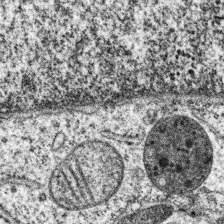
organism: Human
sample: HeLa cells